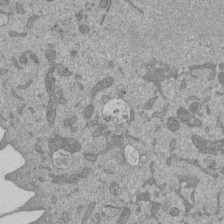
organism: Mouse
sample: ED-1 cell nuclei; centrioles